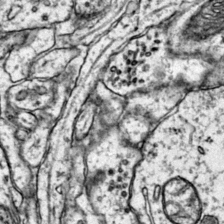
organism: Mouse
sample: Primary visual cortex